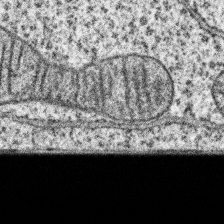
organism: Human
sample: HeLa cells